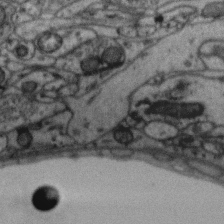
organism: Zebra finch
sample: Brain